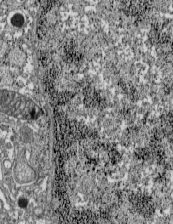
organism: C57BL Mouse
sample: Pancreatic islet